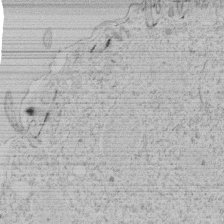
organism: Tetrahymena